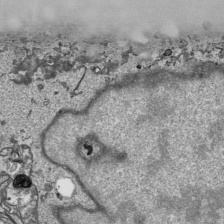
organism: Human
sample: Mitochondria in HCT116 cells